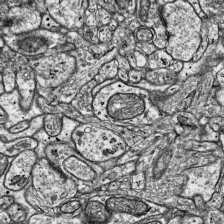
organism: Mouse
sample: Visual Cortex